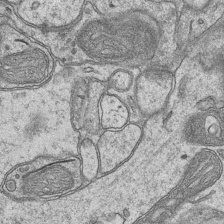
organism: Mouse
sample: CA1 Hippocampus